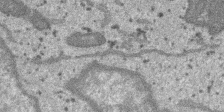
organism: Human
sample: Lung epithelial cells infected with SARS-CoV-2